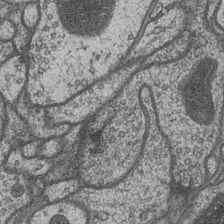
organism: Drosophila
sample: Optic medulla